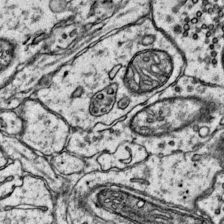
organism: Mouse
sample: Primary visual cortex